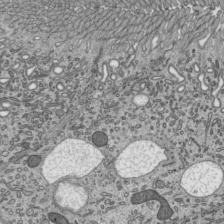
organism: Mouse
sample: Mouse epididymis efferent ductule cilia